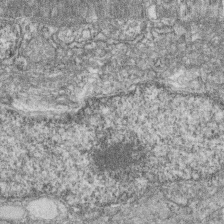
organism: Zebrafish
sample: Cilia; retinal pigment epithelium